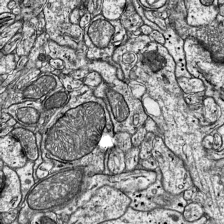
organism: Mouse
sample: Visual Cortex